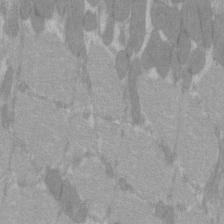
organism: C57BL Mouse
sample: Tibialis anterior muscle cell